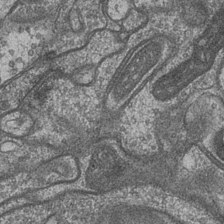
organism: Drosophila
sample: Optic medulla